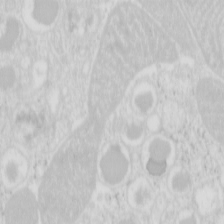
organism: Mouse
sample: Pancreas